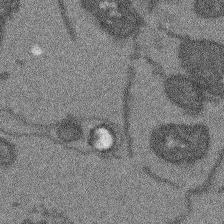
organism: Arabidopsis thaliana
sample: Root tip